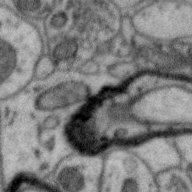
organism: Zebra finch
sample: Brain